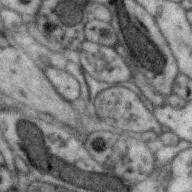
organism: Zebra finch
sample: Brain